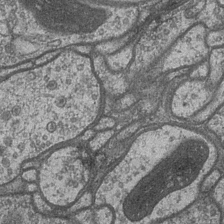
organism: Drosophila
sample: Optic medulla